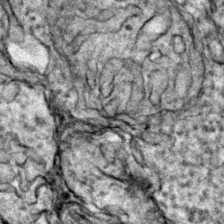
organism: Zebrafish